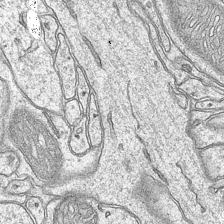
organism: Mouse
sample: CA1 Hippocampus